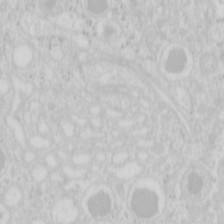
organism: Mouse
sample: Pancreas